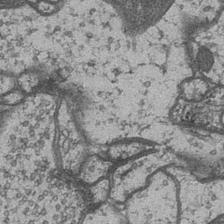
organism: Drosophila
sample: Optic medulla